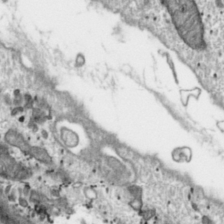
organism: Toxoplasma gondii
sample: Parasites in a vacuole inside a host cell